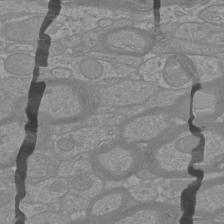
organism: Mouse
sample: Cortical neurons